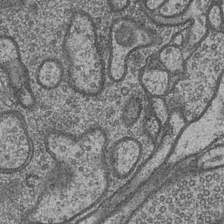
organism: Drosophila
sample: Optic medulla